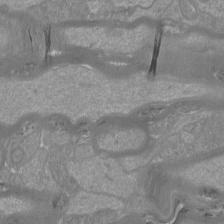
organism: Mouse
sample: Cortical neurons